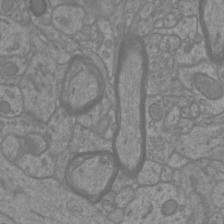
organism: Mouse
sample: Cortical neurons